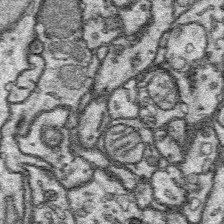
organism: Platynereis dumerilii